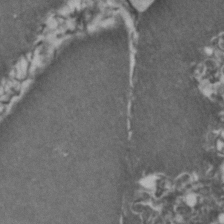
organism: Zebrafish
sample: Zebrafish embryo